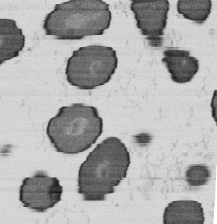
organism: B. subtilis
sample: Bacterial spore